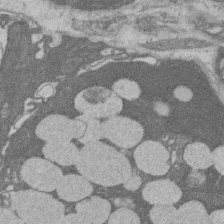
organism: Rat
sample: Salivary granule